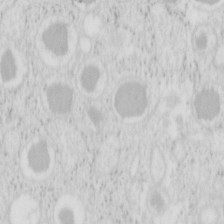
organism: Mouse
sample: Pancreas